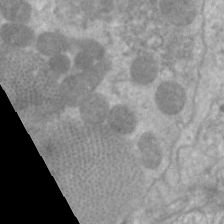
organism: C. elegans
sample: Pharynx